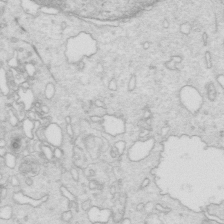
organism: Mouse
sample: Multiciliated cells